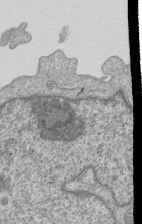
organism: Human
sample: MDA-MB-231 cells